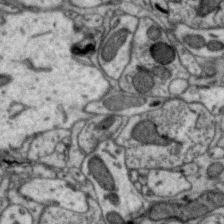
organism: Zebra finch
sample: Brain